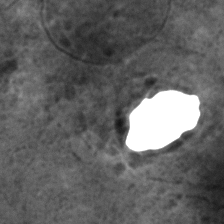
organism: C. elegans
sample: C. elegans embryo